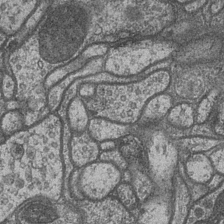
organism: Drosophila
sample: Optic medulla